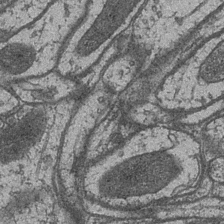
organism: Drosophila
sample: Optic medulla